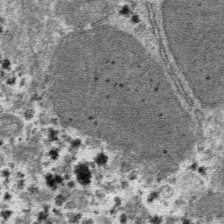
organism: Mouse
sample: Mouse hepatocytes